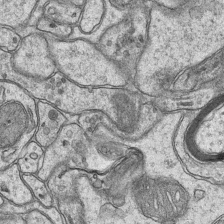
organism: Mouse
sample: CA1 Hippocampus